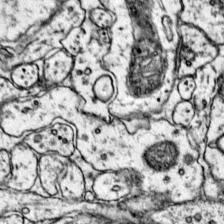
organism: Mouse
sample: Primary visual cortex